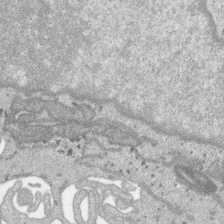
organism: Human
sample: Lung epithelial cells infected with SARS-CoV-2